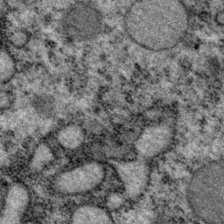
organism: P. pacificus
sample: Pharynx